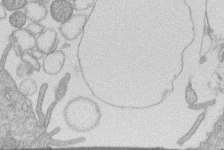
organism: Human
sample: Macrophage cells